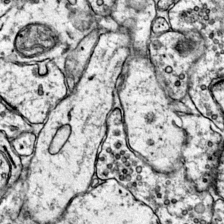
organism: Mouse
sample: Primary visual cortex